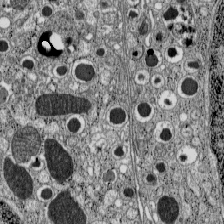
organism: C57BL Mouse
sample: Pancreatic islet